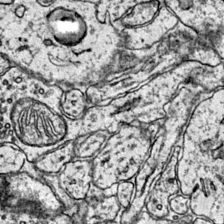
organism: Mouse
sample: Primary visual cortex